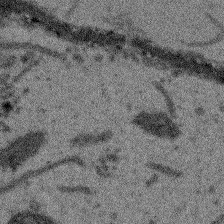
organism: Arabidopsis thaliana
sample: Root tip